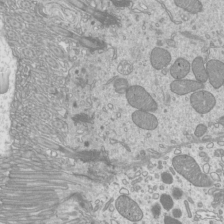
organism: Mouse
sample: Cilia; mouse epididymis